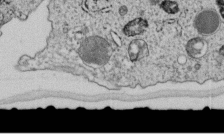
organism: C. elegans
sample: C. elegans embryo early stage